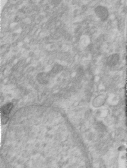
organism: Human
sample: Centriole in RPE cells